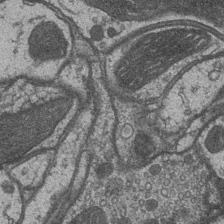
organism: Drosophila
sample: Optic medulla